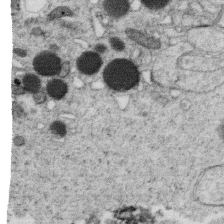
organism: C. elegans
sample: C. elegans oocyte; sperm cells